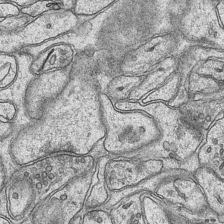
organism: Mouse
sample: CA1 Hippocampus